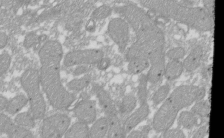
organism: Xenopus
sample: Cilia; centrioles in frog embryo cells